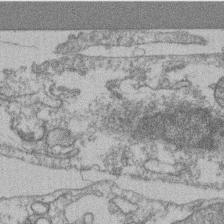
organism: Mouse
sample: T cell stromal cell synapse